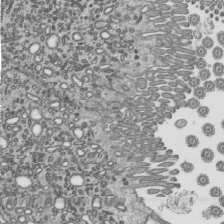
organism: Mouse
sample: Mouse epididymis efferent ductule cilia